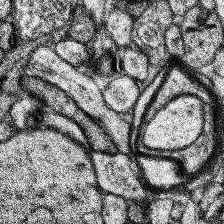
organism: Human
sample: Temporal Lobe